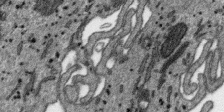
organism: Human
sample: Lung epithelial cells, uninfected (mock) control